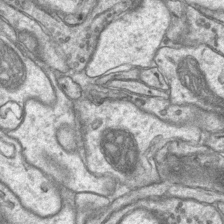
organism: Mouse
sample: CA1 Hippocampus